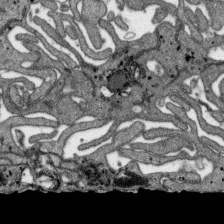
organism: Human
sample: Lung epithelial cells, uninfected (mock) control